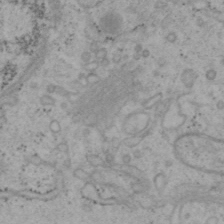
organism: Human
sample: HeLa cells